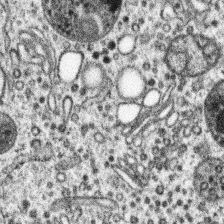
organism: Human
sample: HeLa cells